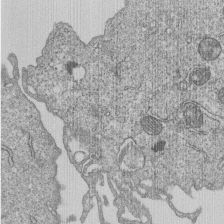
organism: Human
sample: MDA-MB-231 cells